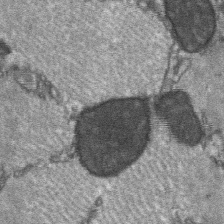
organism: C57BL Mouse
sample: Soleus